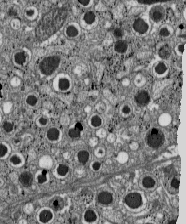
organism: C57BL Mouse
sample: Pancreatic islet